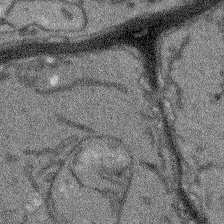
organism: Arabidopsis thaliana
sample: Root tip